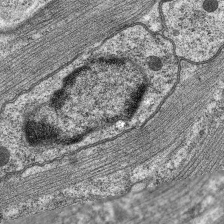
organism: C. elegans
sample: Pharynx